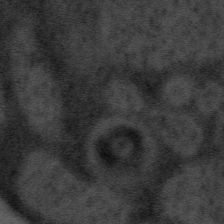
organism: Tuwongella immobilis